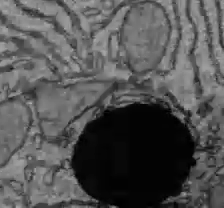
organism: C57BL Mouse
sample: Liver